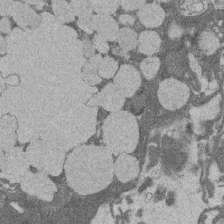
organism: Rat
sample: Salivary granule